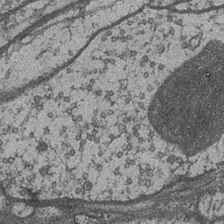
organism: Drosophila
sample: Optic medulla